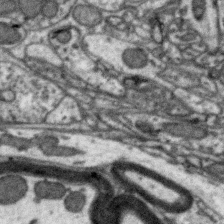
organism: Zebra finch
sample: Brain